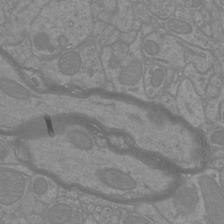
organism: Mouse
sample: Cortical neurons